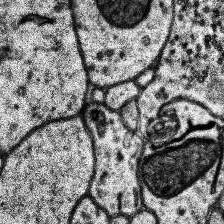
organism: Human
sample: Temporal Lobe